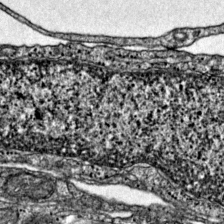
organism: Mouse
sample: Primary visual cortex